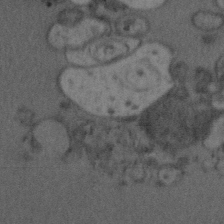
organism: Human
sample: HeLa cells